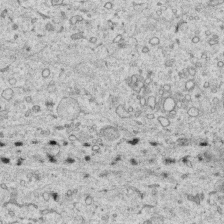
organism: Human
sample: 1205lu cells